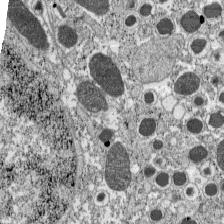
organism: C57BL Mouse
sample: Pancreatic islet